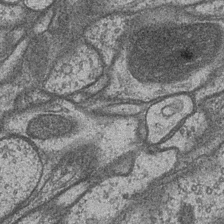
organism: Drosophila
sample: Optic medulla